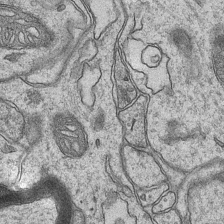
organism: Mouse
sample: CA1 Hippocampus